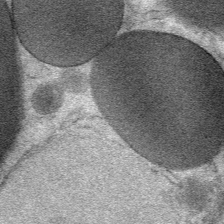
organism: Mouse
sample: Mouse Salivary gland